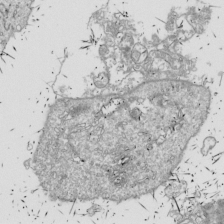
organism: Drosophila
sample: Cell division; meiosis; drosophila spermatocytes